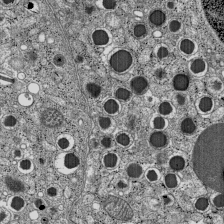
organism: C57BL Mouse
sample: Pancreatic islet